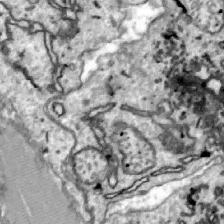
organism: Zebrafish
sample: Actinotrichia fibers